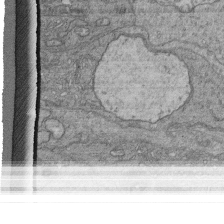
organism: Human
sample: Retinal organoid Rod and Cone cells